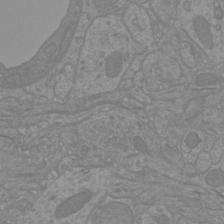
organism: Mouse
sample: Cortical neurons